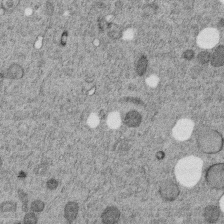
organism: C. elegans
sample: C. elegans embryo early stage